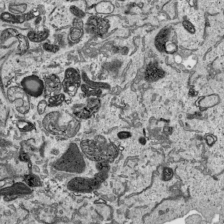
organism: Human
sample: Mitochondria in HCT116 cells